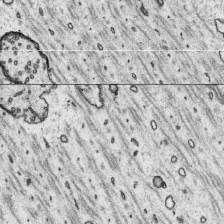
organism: Platynereis dumerilii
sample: Parapodia